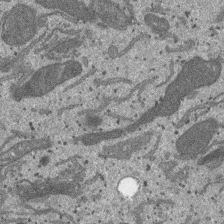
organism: Human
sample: Lung epithelial cells infected with SARS-CoV-2